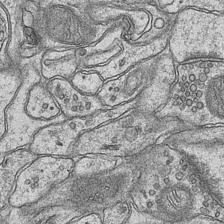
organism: Mouse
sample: CA1 Hippocampus